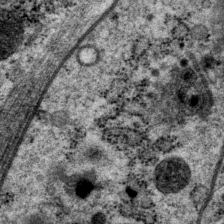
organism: P. pacificus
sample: Pharynx